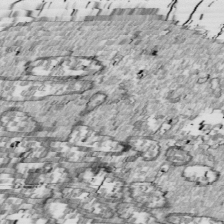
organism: Drosophila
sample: Cell division; meiosis; drosophila spermatocytes